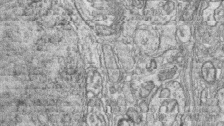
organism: Zebrafish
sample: synaptic ribbons in rod cells and cone cells